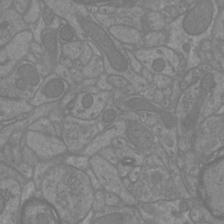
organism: Mouse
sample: Cortical neurons